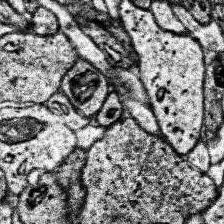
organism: Human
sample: Temporal Lobe